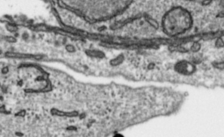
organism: Toxoplasma gondii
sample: Parasites in a vacuole inside a host cell